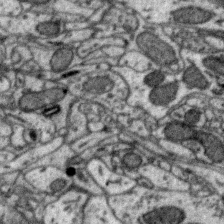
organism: Zebra finch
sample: Brain